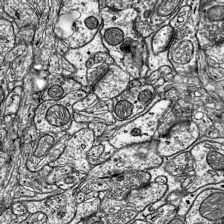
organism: Mouse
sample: Visual Cortex